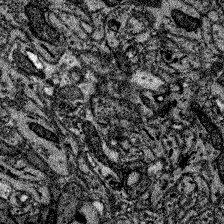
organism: Zebrafish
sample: Larval olfactory bulb